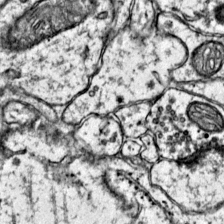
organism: Mouse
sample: Primary visual cortex